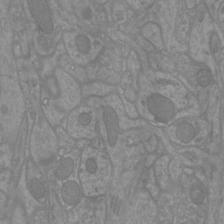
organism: Mouse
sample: Cortical neurons